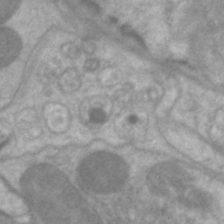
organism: C. elegans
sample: Pharynx